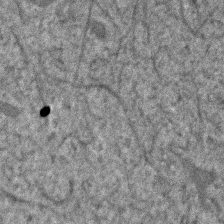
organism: Human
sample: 1205lu cells